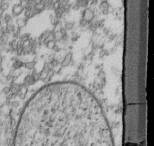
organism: Mouse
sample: Cilia; retinal pigment epithelium